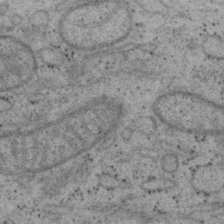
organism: Human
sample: HeLa cells